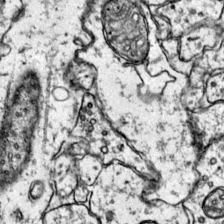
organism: Mouse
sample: Primary visual cortex